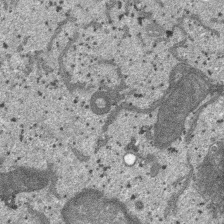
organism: Human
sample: Lung epithelial cells infected with SARS-CoV-2